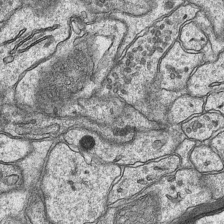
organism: Mouse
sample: CA1 Hippocampus